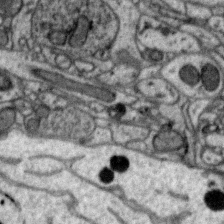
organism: Zebra finch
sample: Brain